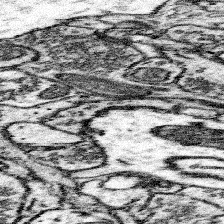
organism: Mouse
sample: Somatosensory cortex neuropil